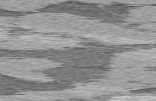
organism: C57BL Mouse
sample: Heart